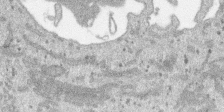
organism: Human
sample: Lung epithelial cells infected with SARS-CoV-2